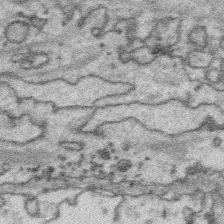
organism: Platynereis dumerilii